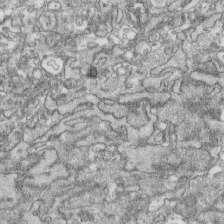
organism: Human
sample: CRL-1474